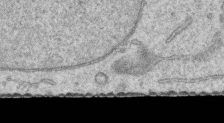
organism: Human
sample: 1205lu cells